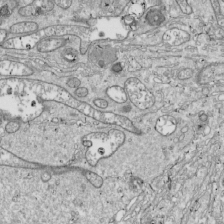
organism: Drosophila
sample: Cell division; meiosis; drosophila spermatocytes